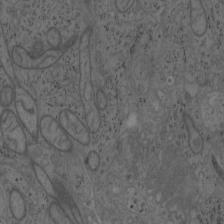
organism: Mouse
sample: OT-I killer T cells with ID8 ovarian cancer cells